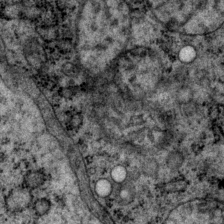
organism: P. pacificus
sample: Pharynx